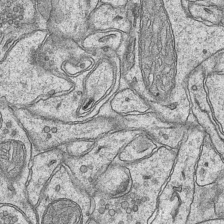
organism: Mouse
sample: CA1 Hippocampus